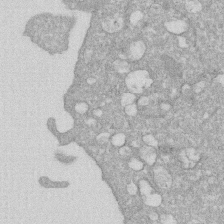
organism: Human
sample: HIV infected U937 cells